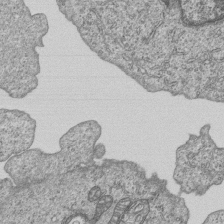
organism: Human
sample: MDA-MB-231 cells